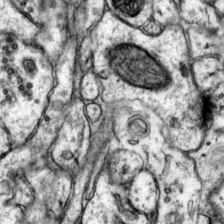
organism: Mouse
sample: Primary visual cortex